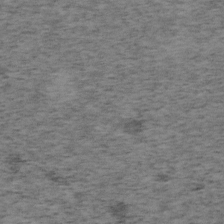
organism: Mouse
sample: OT-I killer T cells with ID8 ovarian cancer cells